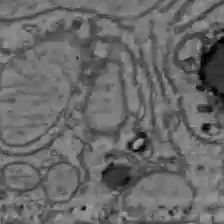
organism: C57BL Mouse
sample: Liver